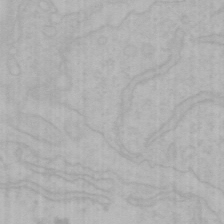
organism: Mouse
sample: Choroid plexus